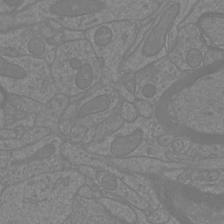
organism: Mouse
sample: Cortical neurons